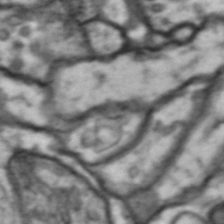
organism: Drosophila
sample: Brain